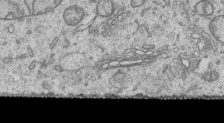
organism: Human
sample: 1205lu cells